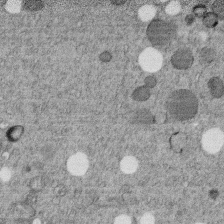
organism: C. elegans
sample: C. elegans embryo early stage